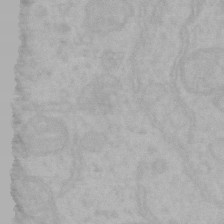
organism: Mouse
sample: Choroid plexus